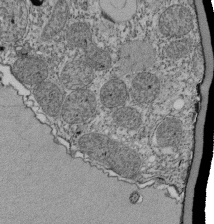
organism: Tetrahymena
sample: Cilia in tetrahymena